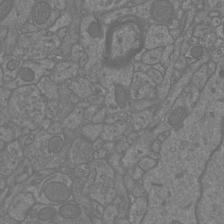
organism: Mouse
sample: Cortical neurons